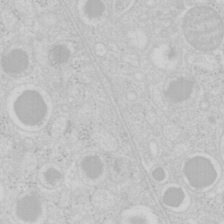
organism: Mouse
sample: Pancreas